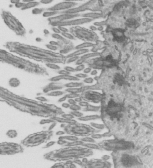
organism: Mouse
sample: Mouse epididymis efferent ductule cilia